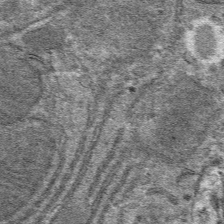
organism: Mouse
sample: Mouse hepatocytes